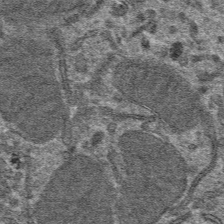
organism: Mouse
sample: Mouse hepatocytes